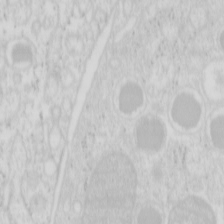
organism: Mouse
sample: Pancreas